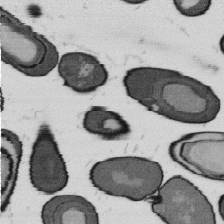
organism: B. subtilis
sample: Bacterial spore